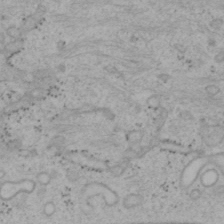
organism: Human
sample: HeLa cells